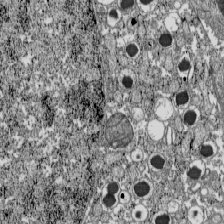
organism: C57BL Mouse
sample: Pancreatic islet